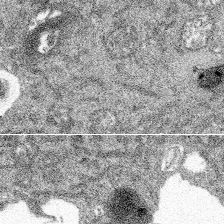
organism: Spongilla lacustris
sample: Multiple